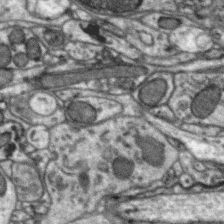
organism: Zebra finch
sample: Brain